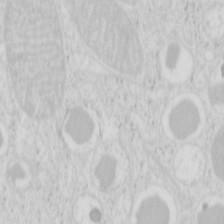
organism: Mouse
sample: Pancreas